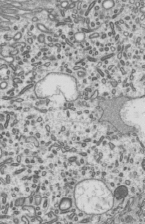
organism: Mouse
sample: Mouse epididymis efferent ductule cilia